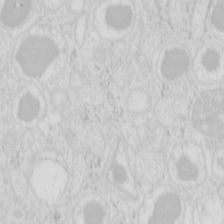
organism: Mouse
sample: Pancreas